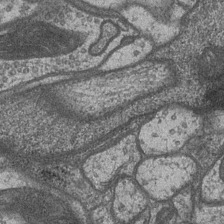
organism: Drosophila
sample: Optic medulla